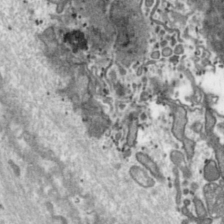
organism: Toxoplasma gondii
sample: Parasites in a vacuole inside a host cell